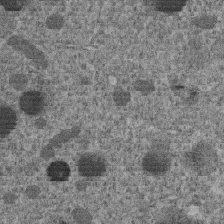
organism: C. elegans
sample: C. elegans embryo early stage